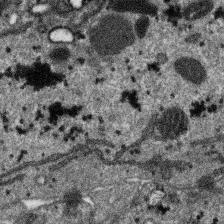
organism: Human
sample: Lung epithelial cells infected with SARS-CoV-2